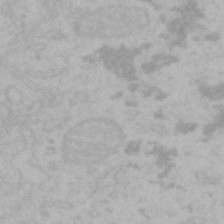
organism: Mouse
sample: Choroid plexus